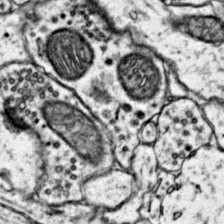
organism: Mouse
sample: Primary visual cortex